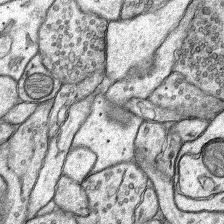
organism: Rat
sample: Hippocampus